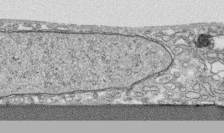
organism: Human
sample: CRL-1474